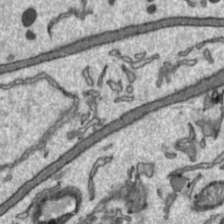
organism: Toxoplasma gondii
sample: Parasites in a vacuole inside a host cell